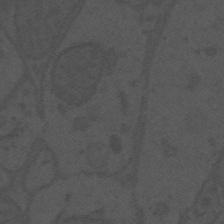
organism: Mouse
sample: Suprachiasmatic nucleus